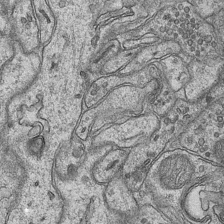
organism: Mouse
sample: CA1 Hippocampus